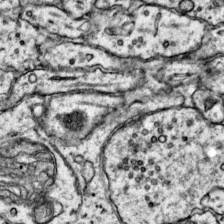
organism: Mouse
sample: Primary visual cortex